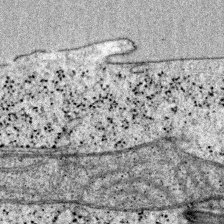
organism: Human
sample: HeLa cells